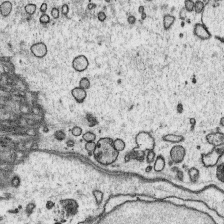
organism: Platynereis dumerilii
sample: Parapodia